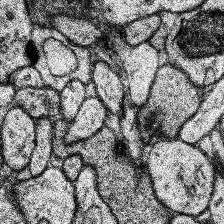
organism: Human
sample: Temporal Lobe